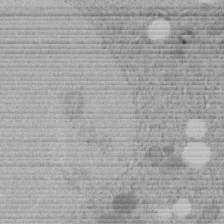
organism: C. elegans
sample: C. elegans embryo early stage